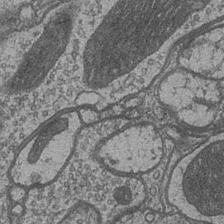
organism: Drosophila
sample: Optic medulla